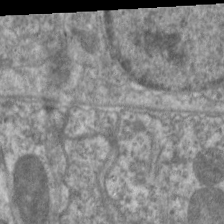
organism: C. elegans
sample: Pharynx